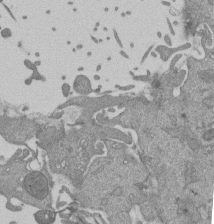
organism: Mouse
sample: ED-1 cell nuclei; centrioles